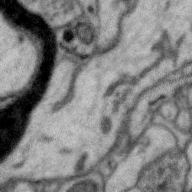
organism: Zebra finch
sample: Brain